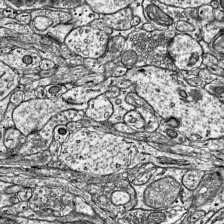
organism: Mouse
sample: Visual Cortex